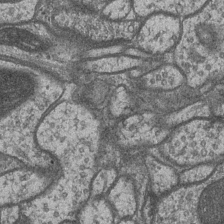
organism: Drosophila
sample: Optic medulla